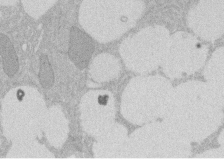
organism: Rat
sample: Salivary granule